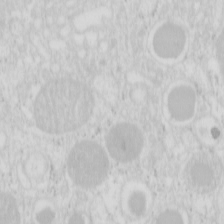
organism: Mouse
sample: Pancreas